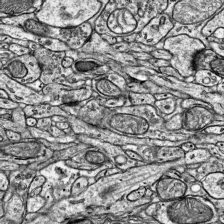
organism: Mouse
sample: Visual Cortex